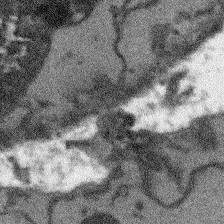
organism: Arabidopsis thaliana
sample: Root tip